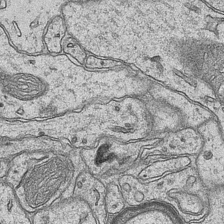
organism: Mouse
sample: CA1 Hippocampus